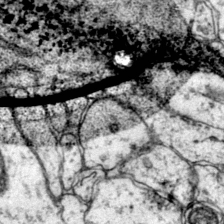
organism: Mouse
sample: Primary visual cortex